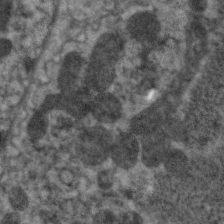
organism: C. elegans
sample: Pharynx